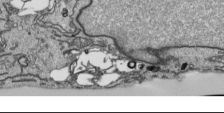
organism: Human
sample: Mitochondria in HCT116 cells